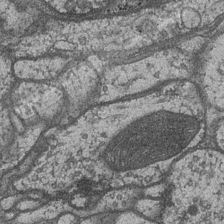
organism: Drosophila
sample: Optic medulla